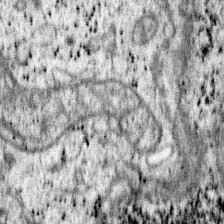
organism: Human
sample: HeLa cells